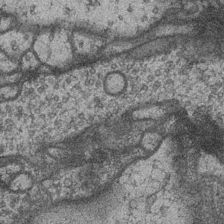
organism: Drosophila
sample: Optic medulla